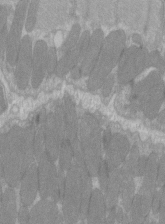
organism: C57BL Mouse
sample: Tibialis anterior muscle cell